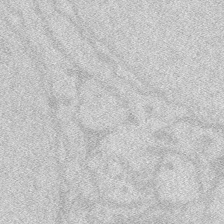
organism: Zebrafish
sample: Macrophage